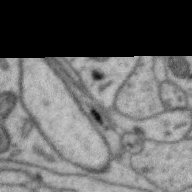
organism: Zebra finch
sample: Brain